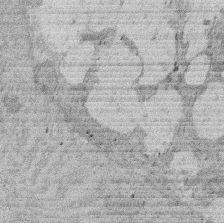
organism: Rat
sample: Salivary granule